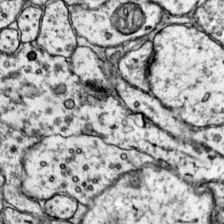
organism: Mouse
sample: Primary visual cortex